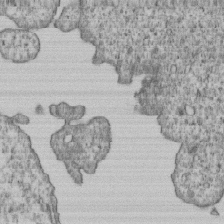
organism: Human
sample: MDA-MB-231 cells